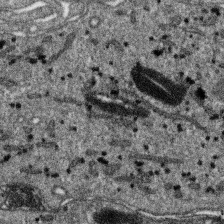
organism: Human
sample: Lung epithelial cells infected with SARS-CoV-2